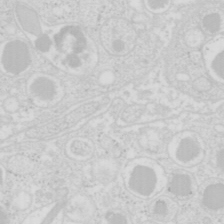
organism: Mouse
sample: Pancreas